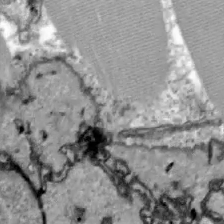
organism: Zebrafish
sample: Actinotrichia fibers